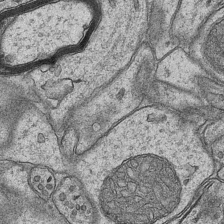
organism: Mouse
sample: CA1 Hippocampus